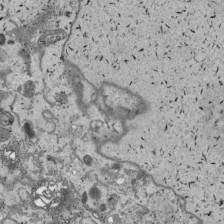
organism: Human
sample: Mitochondria in HCT116 cells